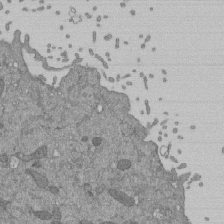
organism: Mouse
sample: ED-1 cell nuclei; centrioles